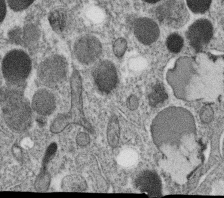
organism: C. elegans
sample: C. elegans oocyte; sperm cells